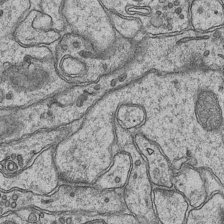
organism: Mouse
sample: CA1 Hippocampus